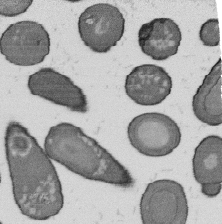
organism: B. subtilis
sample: Bacterial spore